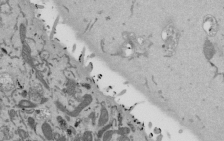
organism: Mouse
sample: ED-1 cell nuclei; centrioles